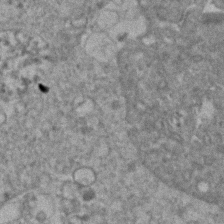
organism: Human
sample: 1205lu cells